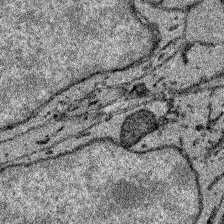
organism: Zebrafish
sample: Larval olfactory bulb